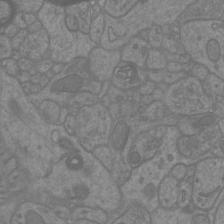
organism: Mouse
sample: Cortical neurons